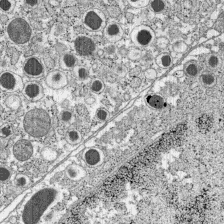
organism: C57BL Mouse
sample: Pancreatic islet